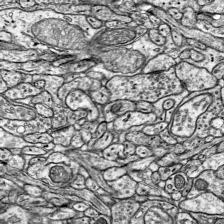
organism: Mouse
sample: Visual Cortex